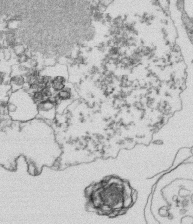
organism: Human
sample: HeLa cell HIV synapse